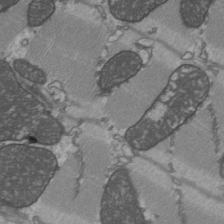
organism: C57BL Mouse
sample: Heart